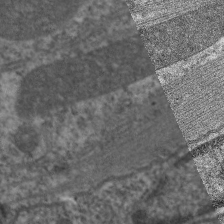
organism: C. elegans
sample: Pharynx